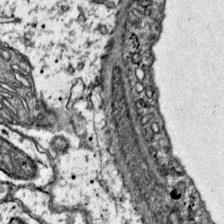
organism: Mouse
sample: Primary visual cortex